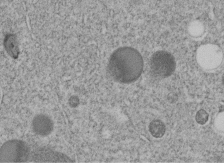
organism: C. elegans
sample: C. elegans embryo early stage